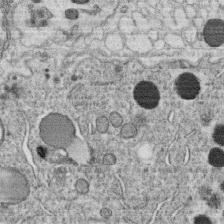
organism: C. elegans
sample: C. elegans oocyte; sperm cells